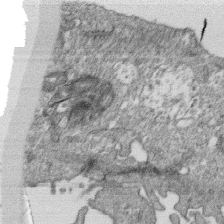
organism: African green monkey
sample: Vero E6 cells infected with SARS-CoV-2